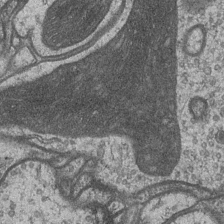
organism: Drosophila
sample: Optic medulla